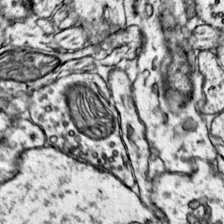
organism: Mouse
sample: Primary visual cortex